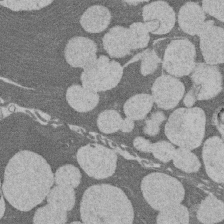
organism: Rat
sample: Salivary granule